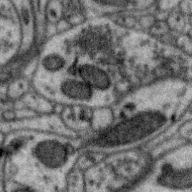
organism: Zebra finch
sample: Brain